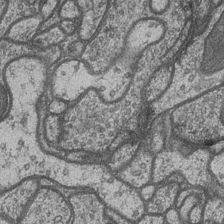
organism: Drosophila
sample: Optic medulla